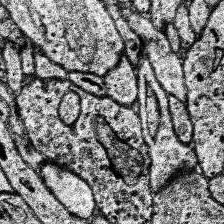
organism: Human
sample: Temporal Lobe